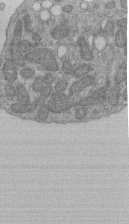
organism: Human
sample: Retinal organoid Rod and Cone cells